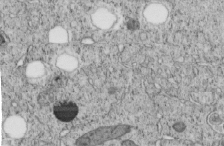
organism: C. elegans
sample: C. elegans embryo early stage